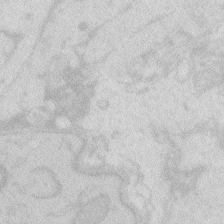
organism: Zebrafish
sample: Macrophage